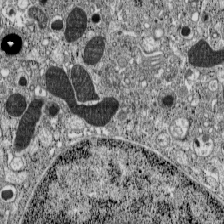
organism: C57BL Mouse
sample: Pancreatic islet